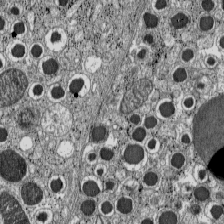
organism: C57BL Mouse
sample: Pancreatic islet